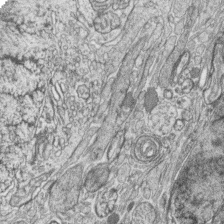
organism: Zebrafish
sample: synaptic ribbons in rod cells and cone cells